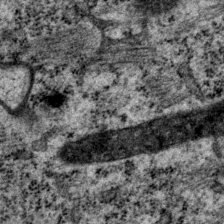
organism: P. pacificus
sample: Pharynx